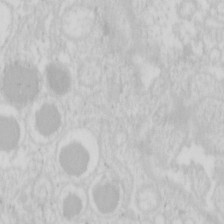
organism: Mouse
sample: Pancreas